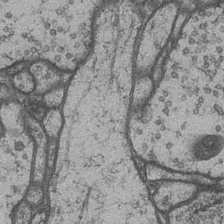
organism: Drosophila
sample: Optic medulla